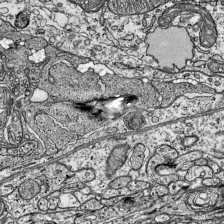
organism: Mouse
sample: Visual Cortex